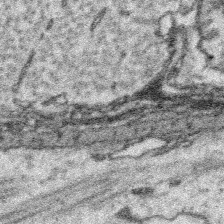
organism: Platynereis dumerilii